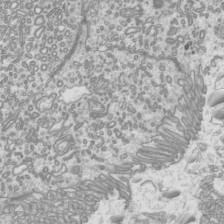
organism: Mouse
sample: Cilia; mouse epididymis